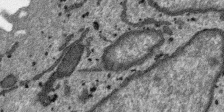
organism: Human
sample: Lung epithelial cells, uninfected (mock) control